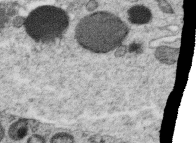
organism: C. elegans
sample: C. elegans oocyte; sperm cells